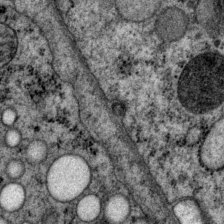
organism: P. pacificus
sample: Pharynx